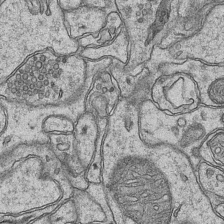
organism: Mouse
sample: CA1 Hippocampus